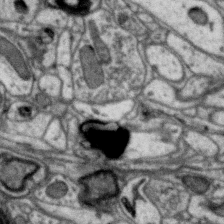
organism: Zebra finch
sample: Brain